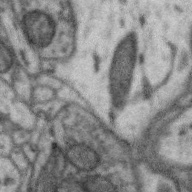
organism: Zebra finch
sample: Brain